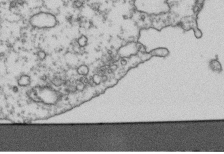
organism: Human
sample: Activated Jurkat CD4+ T cells